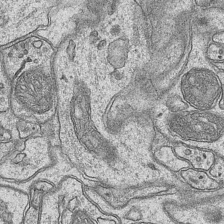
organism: Mouse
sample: CA1 Hippocampus